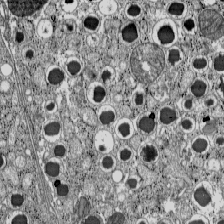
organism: C57BL Mouse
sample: Pancreatic islet